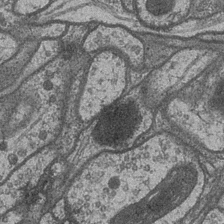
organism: Drosophila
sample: Optic medulla